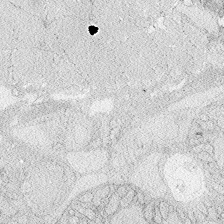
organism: Zebrafish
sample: Whole-Brain